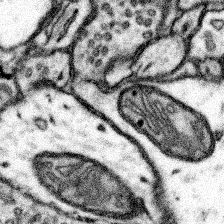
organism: Mouse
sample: Somatosensory cortex neuropil